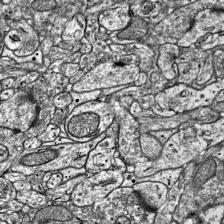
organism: Mouse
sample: Visual Cortex